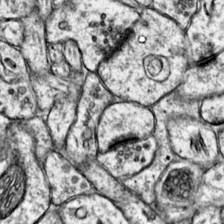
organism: Mouse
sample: Primary visual cortex